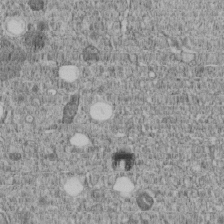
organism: C. elegans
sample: C. elegans embryo early stage